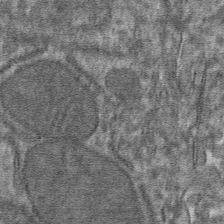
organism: Mouse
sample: Mouse hepatocytes